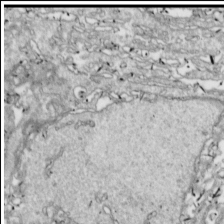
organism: Drosophila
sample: Cell division; meiosis; drosophila spermatocytes